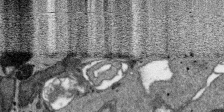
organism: Human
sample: Lung epithelial cells, uninfected (mock) control